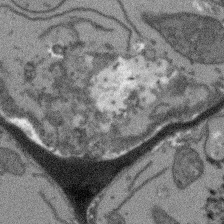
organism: Arabidopsis thaliana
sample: Root tip